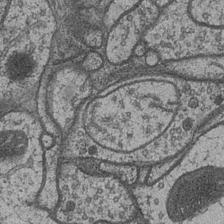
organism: Drosophila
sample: Optic medulla